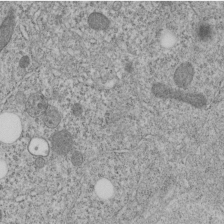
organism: C. elegans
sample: C. elegans embryo early stage